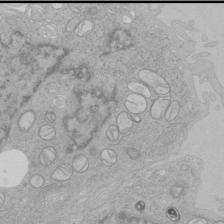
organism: Human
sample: Mitochondria in HCT116 cells